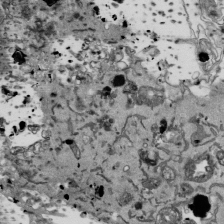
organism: Mouse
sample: ED-1 cell nuclei; centrioles